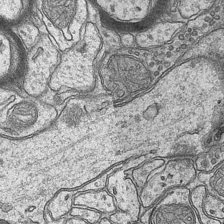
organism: Mouse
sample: CA1 Hippocampus